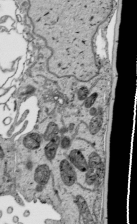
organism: Human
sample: Mitochondria in HCT116 cells